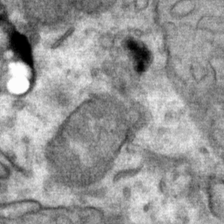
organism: Mouse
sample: Mouse Salivary gland